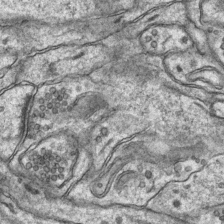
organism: Mouse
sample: CA1 Hippocampus